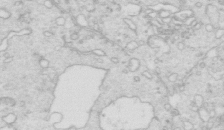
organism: Mouse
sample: Multiciliated cells